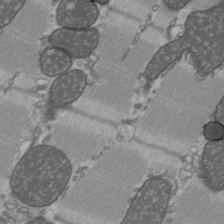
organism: C57BL Mouse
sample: Heart